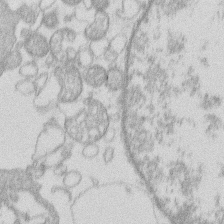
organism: Human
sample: Macrophage cells